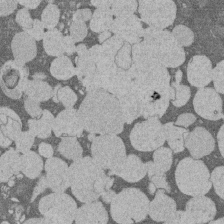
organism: Rat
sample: Salivary granule